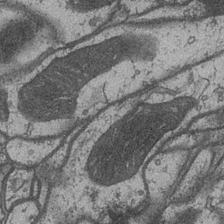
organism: Drosophila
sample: Optic medulla